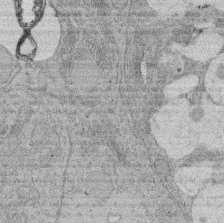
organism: Rat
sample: Salivary granule